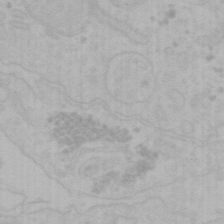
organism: Mouse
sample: Choroid plexus